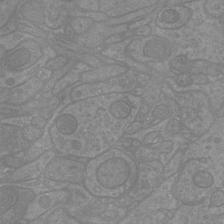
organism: Mouse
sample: Cortical neurons